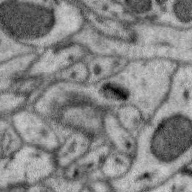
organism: Zebra finch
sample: Brain